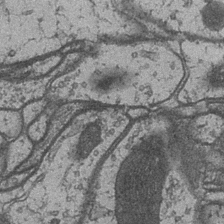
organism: Drosophila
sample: Optic medulla